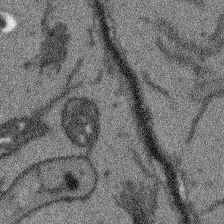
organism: Arabidopsis thaliana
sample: Root tip